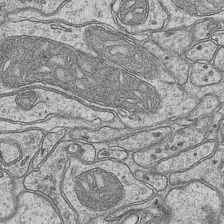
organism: Mouse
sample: CA1 Hippocampus